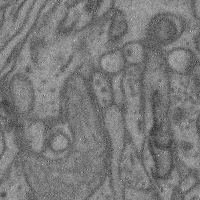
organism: Mouse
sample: Cerebral cortex